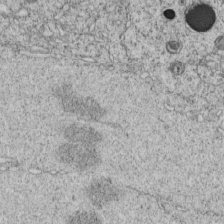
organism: C. elegans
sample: C. elegans embryo early stage